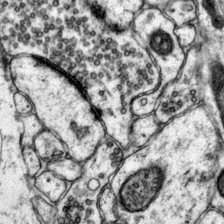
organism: Mouse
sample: Primary visual cortex